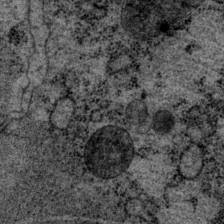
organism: P. pacificus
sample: Pharynx